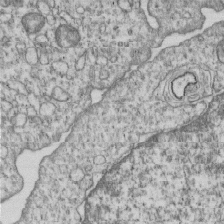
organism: Human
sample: MDA-MB-231 cells